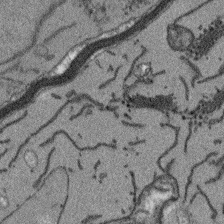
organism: Arabidopsis thaliana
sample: Root tip